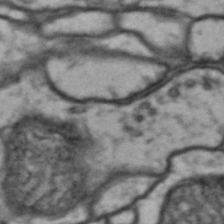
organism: Drosophila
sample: Brain